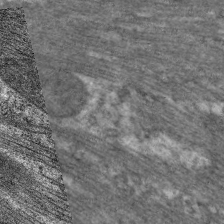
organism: C. elegans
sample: Pharynx